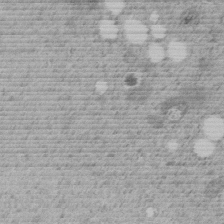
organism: C. elegans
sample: C. elegans embryo early stage